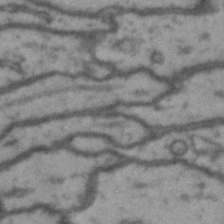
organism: Drosophila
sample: Brain